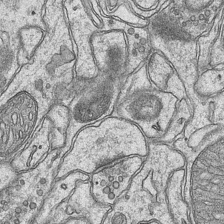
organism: Mouse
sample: CA1 Hippocampus